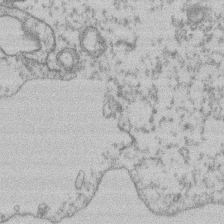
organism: Mouse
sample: T cell stromal cell synapse